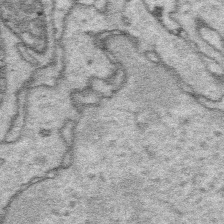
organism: Platynereis dumerilii